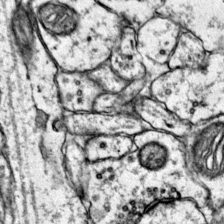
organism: Mouse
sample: Primary visual cortex